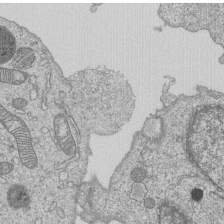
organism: Human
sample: MDA-MB-231 cells